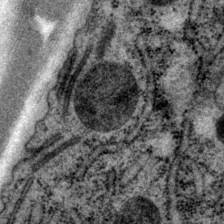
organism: P. pacificus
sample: Pharynx